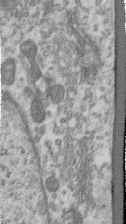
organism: Human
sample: Centriole in RPE cells